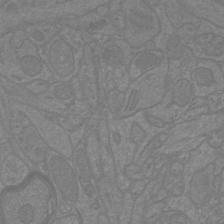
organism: Mouse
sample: Cortical neurons